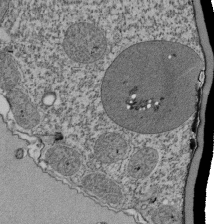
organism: Tetrahymena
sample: Cilia in tetrahymena